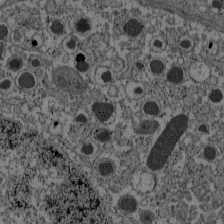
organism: C57BL Mouse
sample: Pancreatic islet